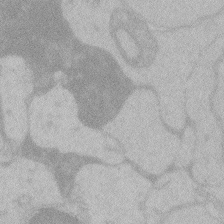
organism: Zebrafish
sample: Macrophage infected with Toxoplasma gondii